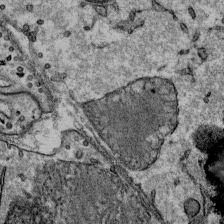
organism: Mouse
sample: Mouse Salivary gland